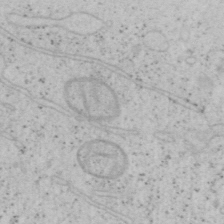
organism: Human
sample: HeLa cells